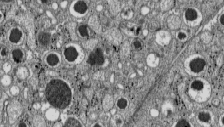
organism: C57BL Mouse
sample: Pancreatic islet